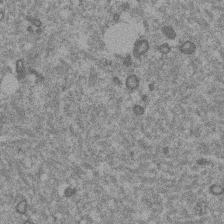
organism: Mouse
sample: Dividing mouse embryo 1 cell stage